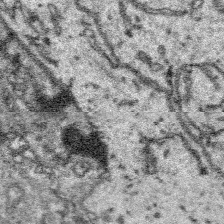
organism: Platynereis dumerilii